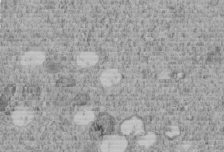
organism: C. elegans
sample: C. elegans embryo early stage